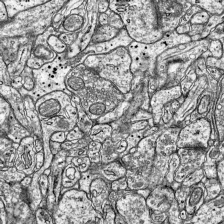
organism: Mouse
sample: Visual Cortex